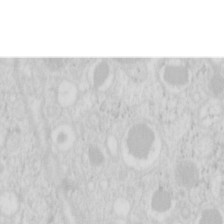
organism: Mouse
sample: Pancreas